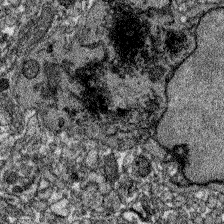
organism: Zebrafish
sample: Larval olfactory bulb